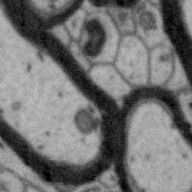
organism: Zebra finch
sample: Brain